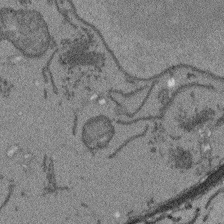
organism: Arabidopsis thaliana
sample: Root tip